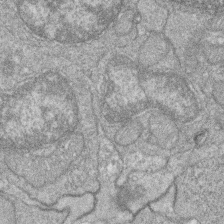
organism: Zebrafish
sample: Cilia; retinal pigment epithelium